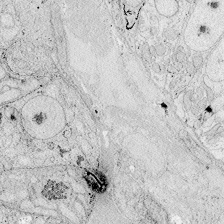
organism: Zebrafish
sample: Whole-Brain